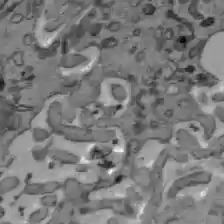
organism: C57BL Mouse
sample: Liver